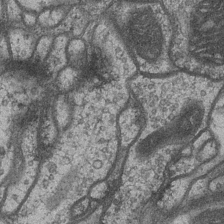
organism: Drosophila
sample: Optic medulla